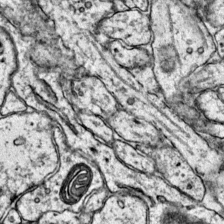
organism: Mouse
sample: Primary visual cortex